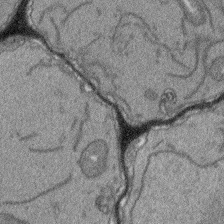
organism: Arabidopsis thaliana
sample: Root tip